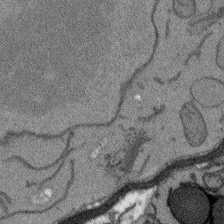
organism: Arabidopsis thaliana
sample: Root tip